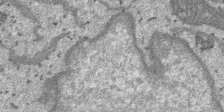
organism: Human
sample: Lung epithelial cells infected with SARS-CoV-2